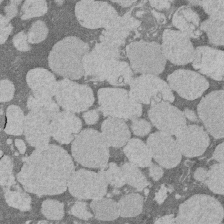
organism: Rat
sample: Salivary granule